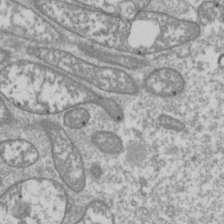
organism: Drosophila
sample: Cell division; meiosis; drosophila spermatocytes